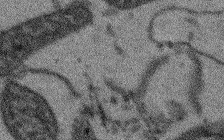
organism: Arabidopsis thaliana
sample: Root tip